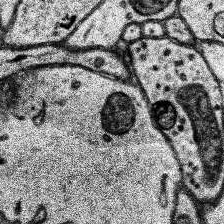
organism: Human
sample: Temporal Lobe